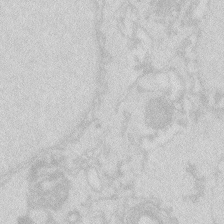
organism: Zebrafish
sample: Macrophage